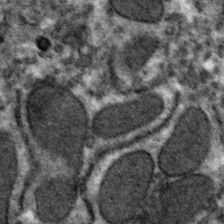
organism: Mouse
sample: Mouse hepatocytes